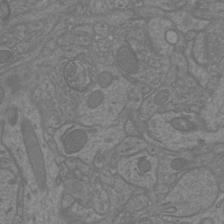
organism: Mouse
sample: Cortical neurons